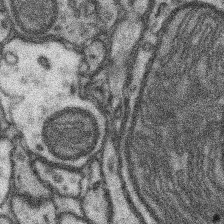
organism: Mouse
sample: Somatosensory cortex neuropil